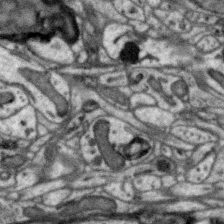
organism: Zebra finch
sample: Brain